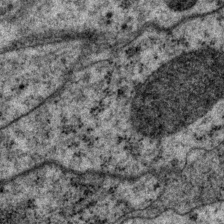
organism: P. pacificus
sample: Pharynx